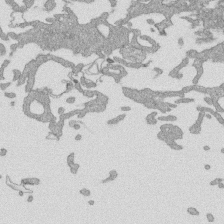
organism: Human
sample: HeLa cell HIV synapse